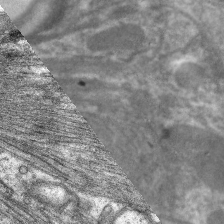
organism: C. elegans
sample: Pharynx